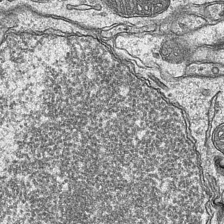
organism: Mouse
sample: CA1 Hippocampus